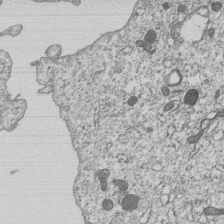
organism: Human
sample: MDA-MB-231 cells